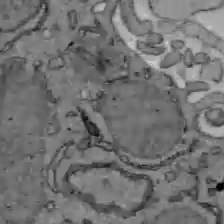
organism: C57BL Mouse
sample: Liver